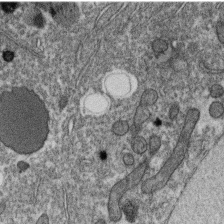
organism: C. elegans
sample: C. elegans oocyte; sperm cells